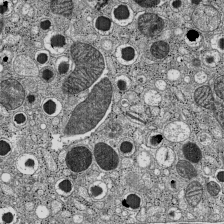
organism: C57BL Mouse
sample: Pancreatic islet